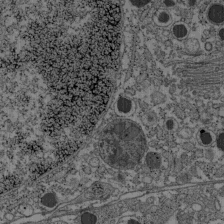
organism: C57BL Mouse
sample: Pancreatic islet